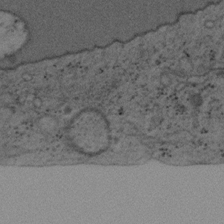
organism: Human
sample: HeLa cells